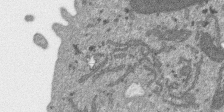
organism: Human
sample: Lung epithelial cells infected with SARS-CoV-2